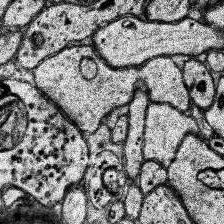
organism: Human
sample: Temporal Lobe